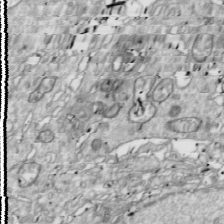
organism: Drosophila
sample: Cell division; meiosis; drosophila spermatocytes